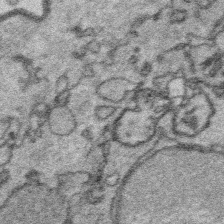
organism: Platynereis dumerilii